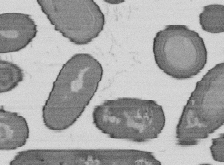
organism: B. subtilis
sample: Bacterial spore